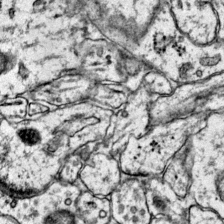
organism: Mouse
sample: Primary visual cortex